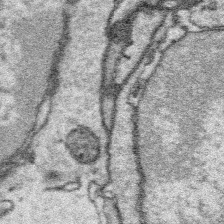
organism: Platynereis dumerilii